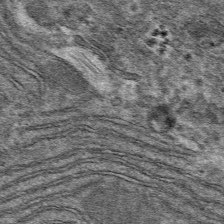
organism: Mouse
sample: Mouse hepatocytes